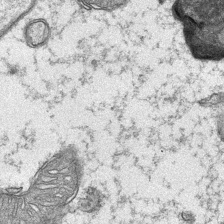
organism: Mouse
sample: CA1 Hippocampus